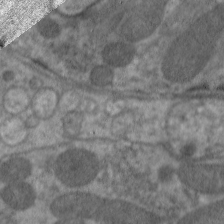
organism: C. elegans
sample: Pharynx